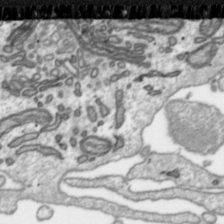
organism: Toxoplasma gondii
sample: Parasites in a vacuole inside a host cell